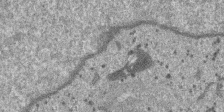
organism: Human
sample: Lung epithelial cells infected with SARS-CoV-2